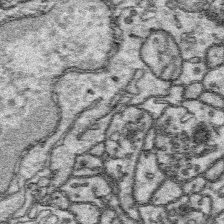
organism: Platynereis dumerilii